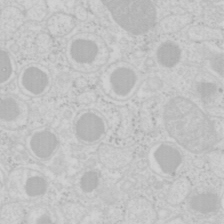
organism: Mouse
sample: Pancreas